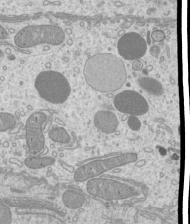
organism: Mouse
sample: Cilia; mouse epididymis